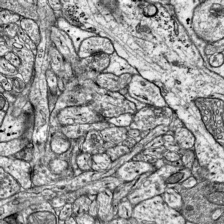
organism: Mouse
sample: Visual Cortex